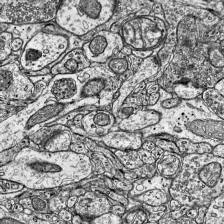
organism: Mouse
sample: Visual Cortex